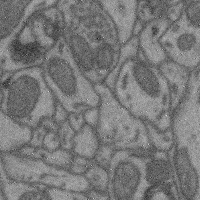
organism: Mouse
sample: Cerebral cortex